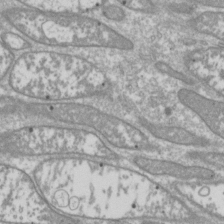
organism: Drosophila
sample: Cell division; meiosis; drosophila spermatocytes